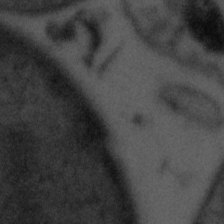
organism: Tuwongella immobilis